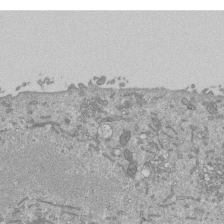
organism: Mouse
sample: ED-1 cell nuclei; centrioles